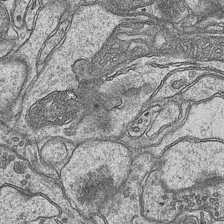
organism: Mouse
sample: CA1 Hippocampus